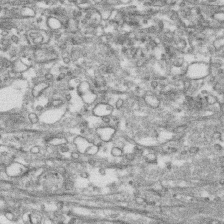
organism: Human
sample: CRL-1474